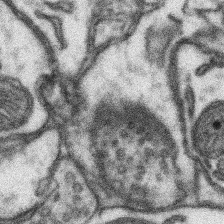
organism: Mouse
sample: Somatosensory cortex neuropil